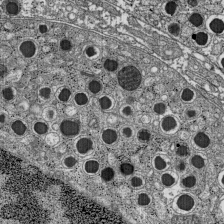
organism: C57BL Mouse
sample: Pancreatic islet